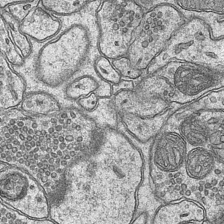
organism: Mouse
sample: CA1 Hippocampus